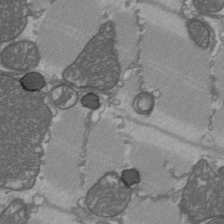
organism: C57BL Mouse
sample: Heart